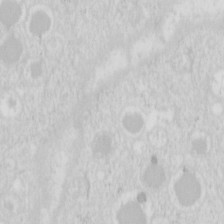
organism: Mouse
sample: Pancreas